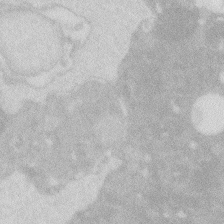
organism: Zebrafish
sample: Macrophage